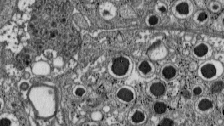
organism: C57BL Mouse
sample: Pancreatic islet